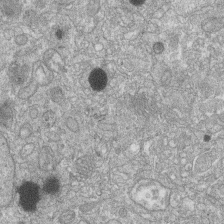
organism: Human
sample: HeLa cell HIV synapse